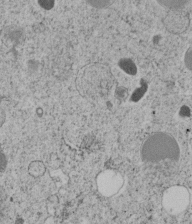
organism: C. elegans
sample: C. elegans embryo early stage